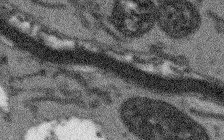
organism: Arabidopsis thaliana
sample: Root tip